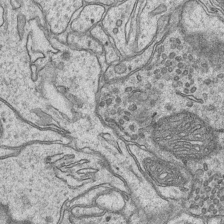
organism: Mouse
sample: CA1 Hippocampus